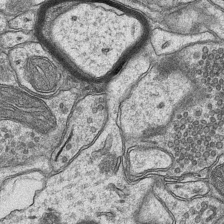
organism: Mouse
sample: CA1 Hippocampus